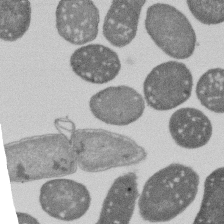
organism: E. coli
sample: Bacterial nucleoid